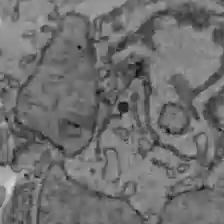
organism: C57BL Mouse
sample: Liver